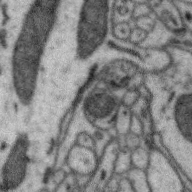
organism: Zebra finch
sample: Brain